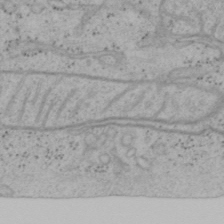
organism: Human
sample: HeLa cells